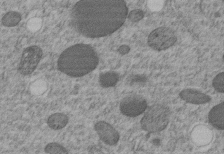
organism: C. elegans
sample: C. elegans embryo early stage